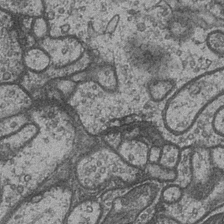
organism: Drosophila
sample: Optic medulla